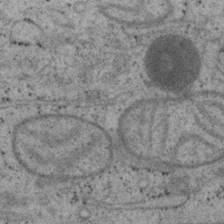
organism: Human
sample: HeLa cells